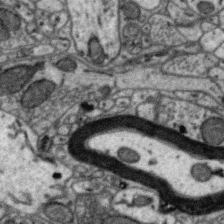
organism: Zebra finch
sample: Brain